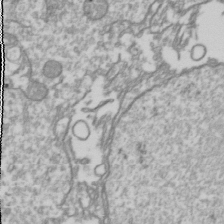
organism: Drosophila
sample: Cell division; meiosis; drosophila spermatocytes